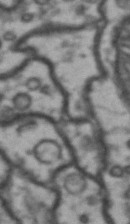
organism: Drosophila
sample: Brain